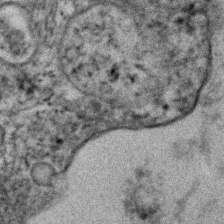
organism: Human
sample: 1205lu cells